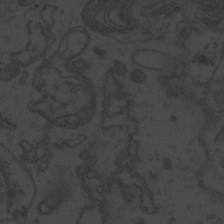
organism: Zebrafish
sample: Macrophage infected with Toxoplasma gondii